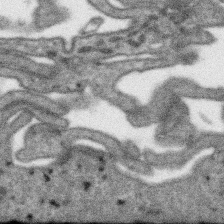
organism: Human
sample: Lung epithelial cells infected with SARS-CoV-2